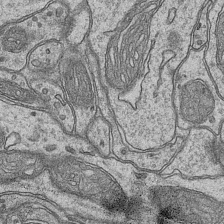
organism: Mouse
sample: CA1 Hippocampus